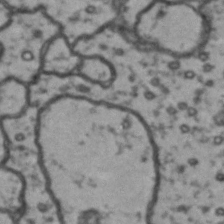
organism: Drosophila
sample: Brain